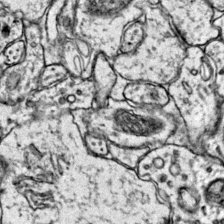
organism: Mouse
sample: Primary visual cortex